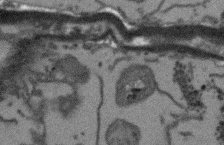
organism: Arabidopsis thaliana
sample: Root tip